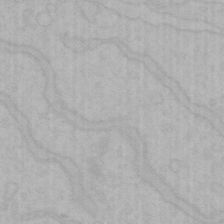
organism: Mouse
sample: Choroid plexus